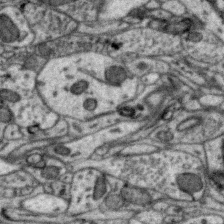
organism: Zebra finch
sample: Brain